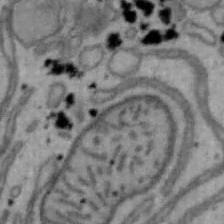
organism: Mouse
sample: Liver